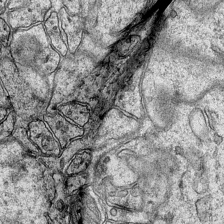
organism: Mouse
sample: CA1 Hippocampus